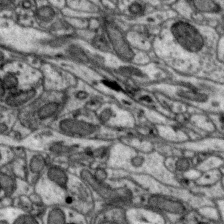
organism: Zebra finch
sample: Brain